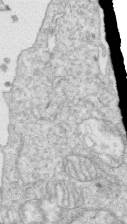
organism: Human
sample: HeLa cell HIV synapse